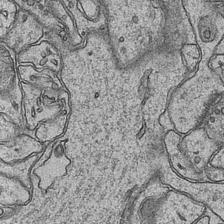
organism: Mouse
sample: CA1 Hippocampus